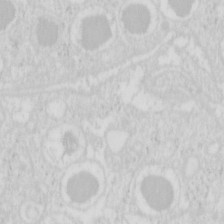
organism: Mouse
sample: Pancreas